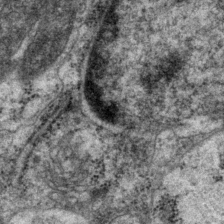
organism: P. pacificus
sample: Pharynx